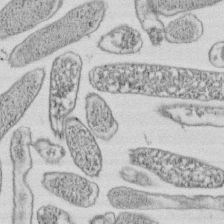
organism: E. coli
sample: Bacterial nucleoid